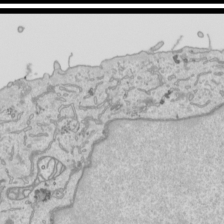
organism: Human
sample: Mitochondria in HCT116 cells